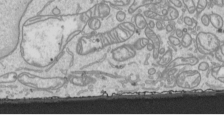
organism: Human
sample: Mitochondria in HCT116 cells